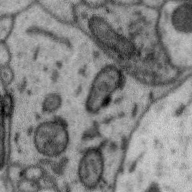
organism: Zebra finch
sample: Brain